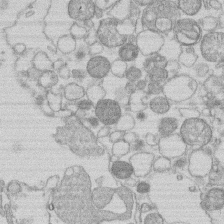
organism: Human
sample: Macrophage cells